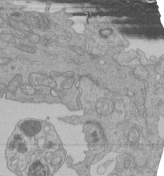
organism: Human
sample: Retinal organoid Rod and Cone cells